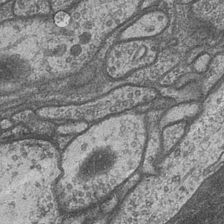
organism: Drosophila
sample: Optic medulla